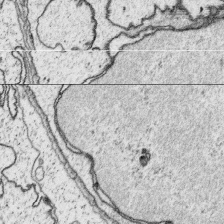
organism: Platynereis dumerilii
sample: Parapodia